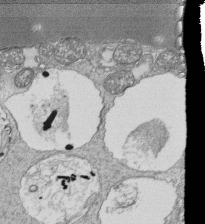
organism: Tetrahymena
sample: Cilia in tetrahymena